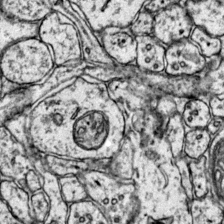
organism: Mouse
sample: Primary visual cortex